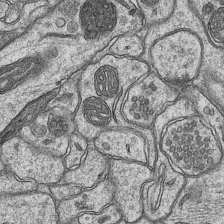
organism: Mouse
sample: CA1 Hippocampus